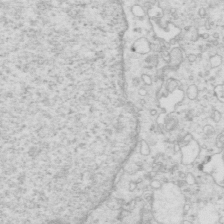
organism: Mouse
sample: Multiciliated cells